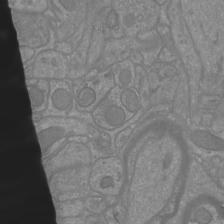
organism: Mouse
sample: Cortical neurons